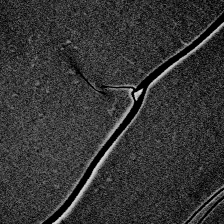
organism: Zebrafish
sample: Whole-Brain